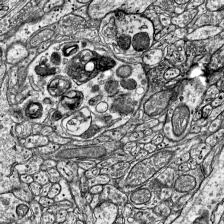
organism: Mouse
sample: Visual Cortex